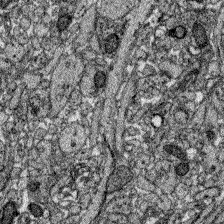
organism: Zebrafish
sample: Larval olfactory bulb